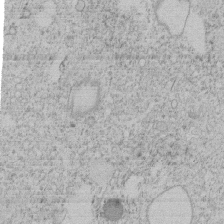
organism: Tetrahymena